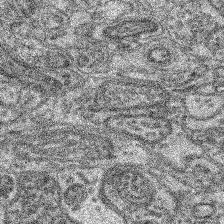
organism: Mouse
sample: Retina